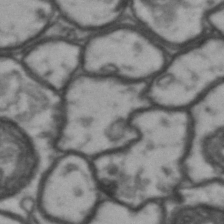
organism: Drosophila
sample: Brain